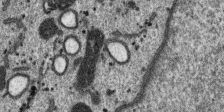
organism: Human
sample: Lung epithelial cells infected with SARS-CoV-2